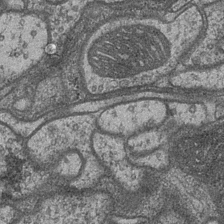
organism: Drosophila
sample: Optic medulla